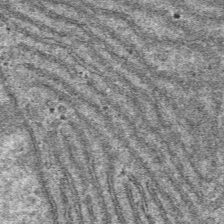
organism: Mouse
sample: Mouse hepatocytes